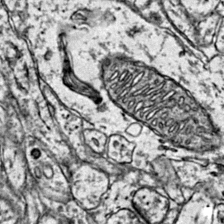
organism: Mouse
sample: Primary visual cortex